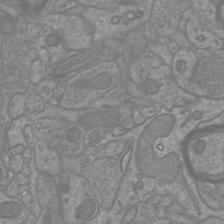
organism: Mouse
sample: Cortical neurons